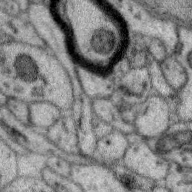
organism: Zebra finch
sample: Brain